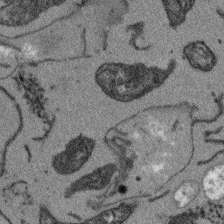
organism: Arabidopsis thaliana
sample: Root tip